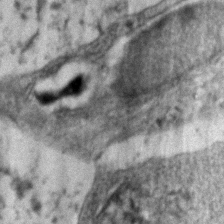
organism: Zebrafish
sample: Zebrafish embryo